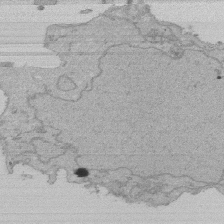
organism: Human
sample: Activated Jurkat CD4+ T cells